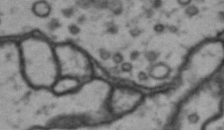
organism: Drosophila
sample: Brain